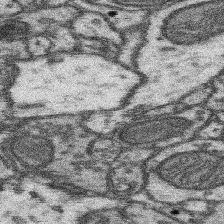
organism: Mouse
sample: Somatosensory cortex neuropil